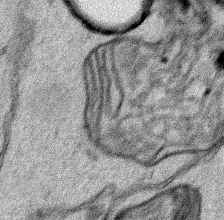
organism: Human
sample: Mitochondria in HCT116 cells